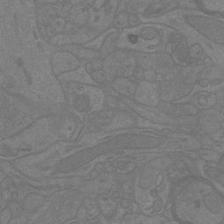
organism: Mouse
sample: Cortical neurons